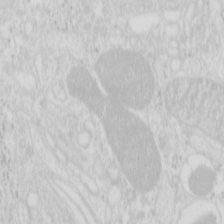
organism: Mouse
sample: Pancreas